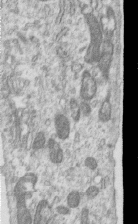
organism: Human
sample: Centriole in RPE cells